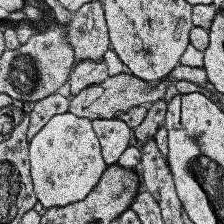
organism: Human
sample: Temporal Lobe